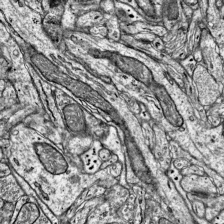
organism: Mouse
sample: Visual Cortex